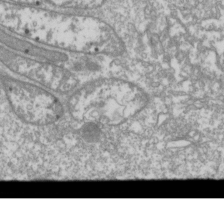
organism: Drosophila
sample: Cell division; meiosis; drosophila spermatocytes